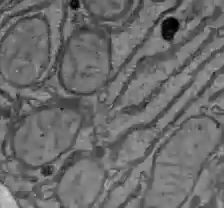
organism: C57BL Mouse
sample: Liver